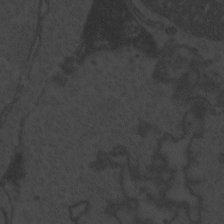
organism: Zebrafish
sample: Macrophage infected with Toxoplasma gondii